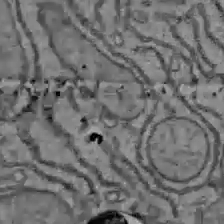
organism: C57BL Mouse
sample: Liver